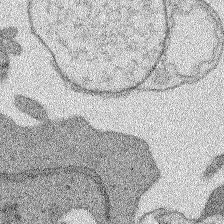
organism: Human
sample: HeLa cells